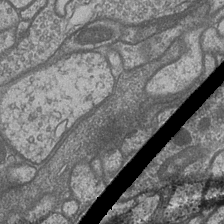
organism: Drosophila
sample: Optic medulla